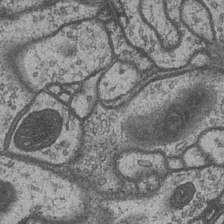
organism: Drosophila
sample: Optic medulla